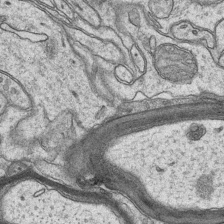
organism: Mouse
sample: CA1 Hippocampus